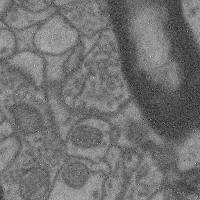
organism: Mouse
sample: Cerebral cortex